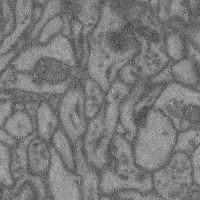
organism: Mouse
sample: Cerebral cortex